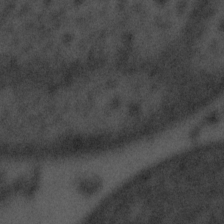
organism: Tuwongella immobilis